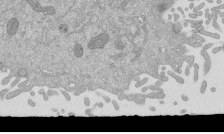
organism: Mouse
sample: ED-1 cell nuclei; centrioles